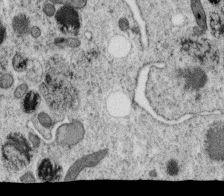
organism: C. elegans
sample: C. elegans oocyte; sperm cells